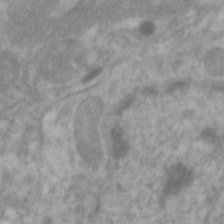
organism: C. elegans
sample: Pharynx